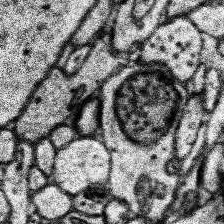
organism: Human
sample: Temporal Lobe